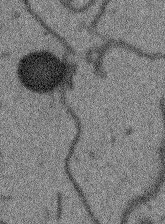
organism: Arabidopsis thaliana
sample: Root tip